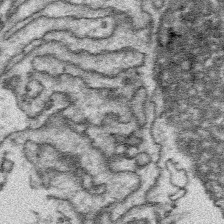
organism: Platynereis dumerilii